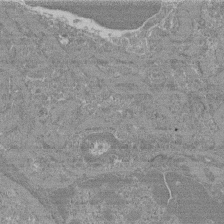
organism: Mouse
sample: Glomerulus